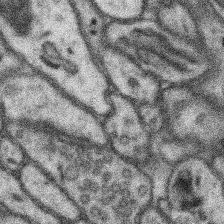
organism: Mouse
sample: Somatosensory cortex neuropil